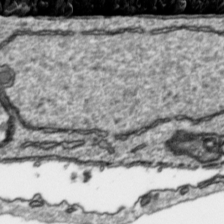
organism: Toxoplasma gondii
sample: Parasites in a vacuole inside a host cell